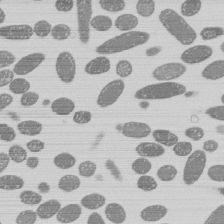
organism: E. coli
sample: Bacterial nucleoid